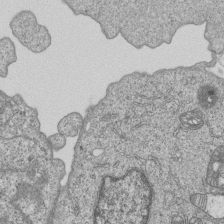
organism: Human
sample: MDA-MB-231 cells